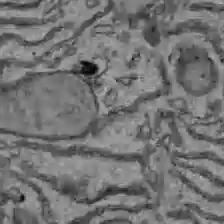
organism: C57BL Mouse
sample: Liver